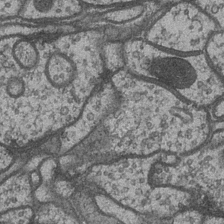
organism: Drosophila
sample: Optic medulla